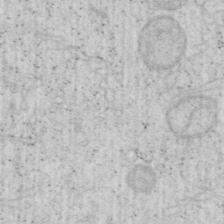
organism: Human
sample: HeLa cells